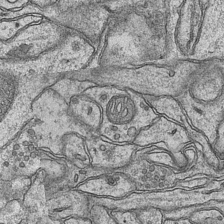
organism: Mouse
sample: CA1 Hippocampus